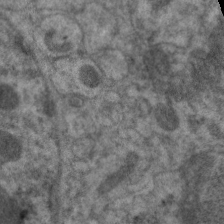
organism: C. elegans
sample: Pharynx